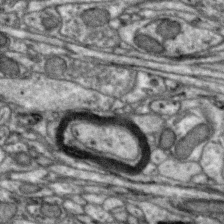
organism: Zebra finch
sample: Brain